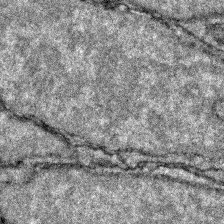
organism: Zebrafish